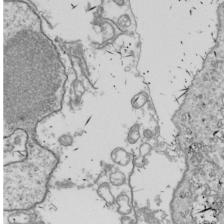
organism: Drosophila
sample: Cell division; meiosis; drosophila spermatocytes